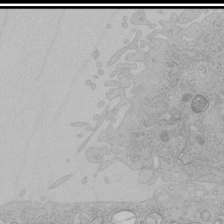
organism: Human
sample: Mitochondria in HCT116 cells